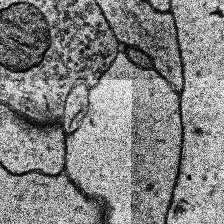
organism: Human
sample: Temporal Lobe